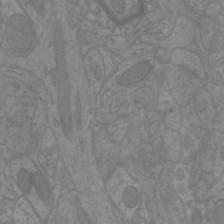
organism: Mouse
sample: Cortical neurons